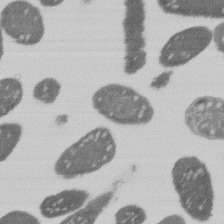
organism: E. coli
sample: Bacterial nucleoid